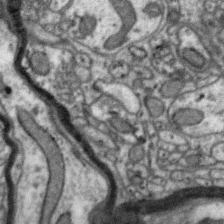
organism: Zebra finch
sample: Brain